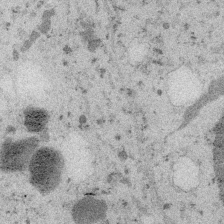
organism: Embia sp.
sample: Silk gland